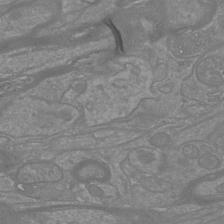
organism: Mouse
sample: Cortical neurons